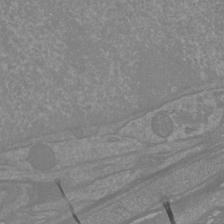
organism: Mouse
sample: Cortical neurons